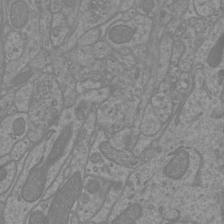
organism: Mouse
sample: Cortical neurons